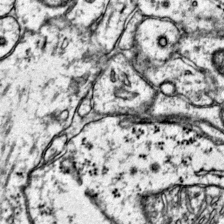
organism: Mouse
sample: Primary visual cortex